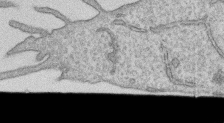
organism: Human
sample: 1205lu cells